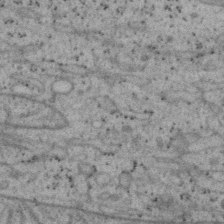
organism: Human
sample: HeLa cells